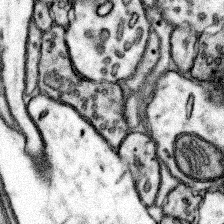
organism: Mouse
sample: Somatosensory cortex neuropil